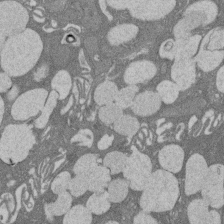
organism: Rat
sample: Salivary granule